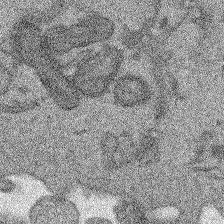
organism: Human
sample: HeLa cells